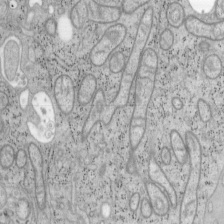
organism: Mouse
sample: OT-I killer T cells with ID8 ovarian cancer cells